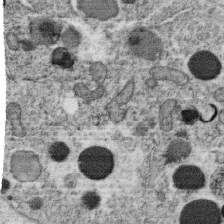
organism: C. elegans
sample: C. elegans oocyte; sperm cells